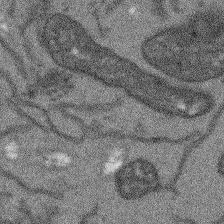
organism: Arabidopsis thaliana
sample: Root tip